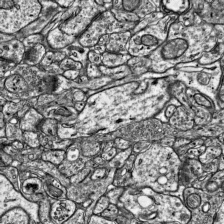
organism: Mouse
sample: Visual Cortex